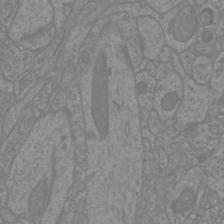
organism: Mouse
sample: Cortical neurons